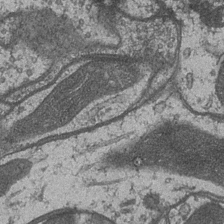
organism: Drosophila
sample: Optic medulla